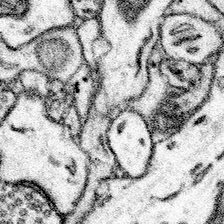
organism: Mouse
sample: Somatosensory cortex neuropil